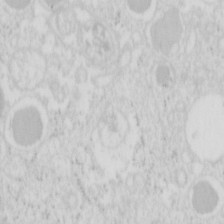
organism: Mouse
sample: Pancreas